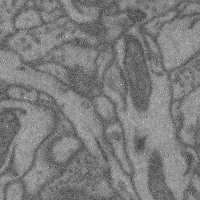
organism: Mouse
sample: Cerebral cortex